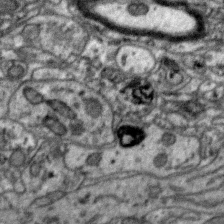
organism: Zebra finch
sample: Brain